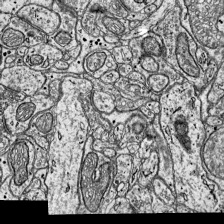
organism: Mouse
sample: Visual Cortex